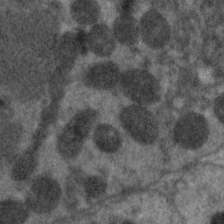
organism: C. elegans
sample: Pharynx